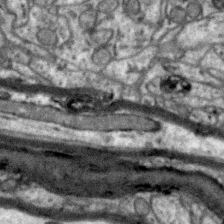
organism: Zebra finch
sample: Brain